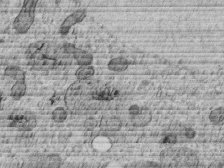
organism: C. elegans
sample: C. elegans embryo early stage